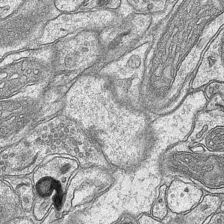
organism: Mouse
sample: CA1 Hippocampus